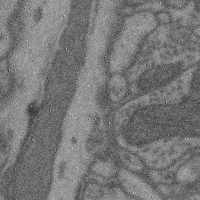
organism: Mouse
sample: Cerebral cortex